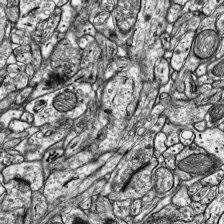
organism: Mouse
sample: Visual Cortex